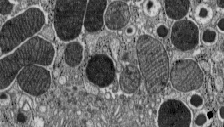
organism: C57BL Mouse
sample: Pancreatic islet